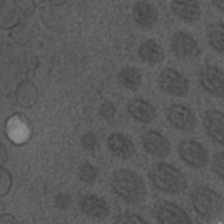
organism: C. elegans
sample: C. elegans embryo